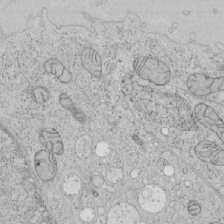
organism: Human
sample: Mitochondria in HCT116 cells